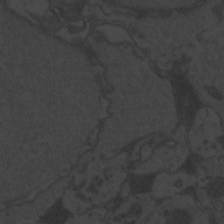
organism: Zebrafish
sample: Macrophage infected with Toxoplasma gondii